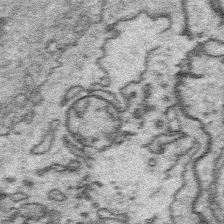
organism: Platynereis dumerilii